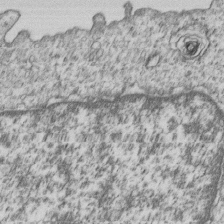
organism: Human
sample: MDA-MB-231 cells